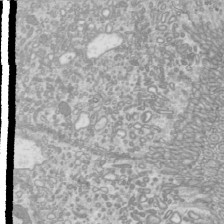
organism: Mouse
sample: Cilia; mouse epididymis